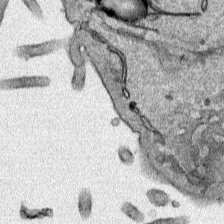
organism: Human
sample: Mitochondria in HCT116 cells